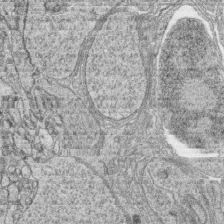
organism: Zebrafish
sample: synaptic ribbons in rod cells and cone cells